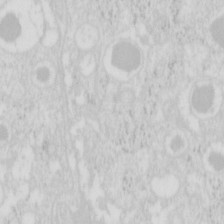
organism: Mouse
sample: Pancreas